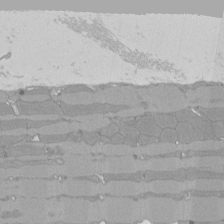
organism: Rat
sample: Left ventricle